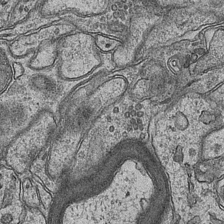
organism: Mouse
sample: CA1 Hippocampus